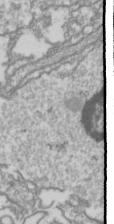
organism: Drosophila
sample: Cell division; meiosis; drosophila spermatocytes